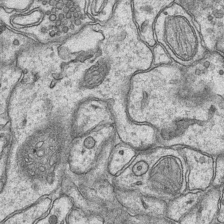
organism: Mouse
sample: CA1 Hippocampus